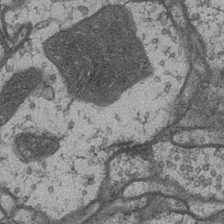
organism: Drosophila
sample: Optic medulla